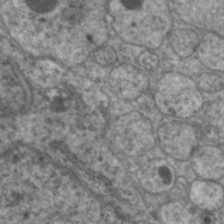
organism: C. elegans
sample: Pharynx